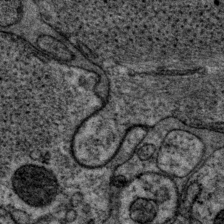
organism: P. pacificus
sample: Pharynx